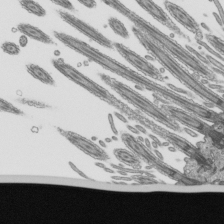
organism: Mouse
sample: Mouse epididymis efferent ductule cilia